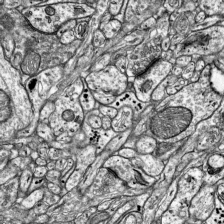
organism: Mouse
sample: Visual Cortex